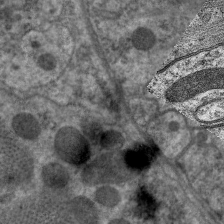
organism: C. elegans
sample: Pharynx